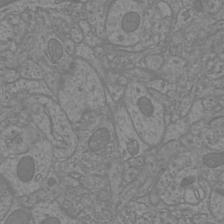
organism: Mouse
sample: Cortical neurons